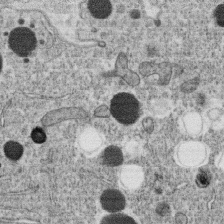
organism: C. elegans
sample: C. elegans oocyte; sperm cells